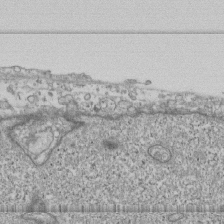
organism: Human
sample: Fibroblast cells